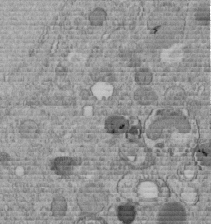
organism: C. elegans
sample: C. elegans embryo early stage